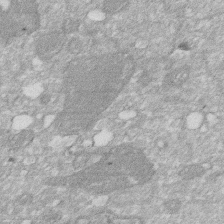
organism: Human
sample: HIV infected U937 cells